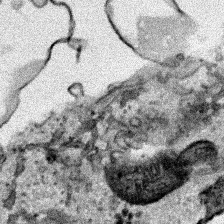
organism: Human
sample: Mitochondria in HCT116 cells